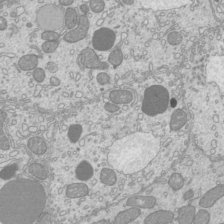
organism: Mouse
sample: Cilia; mouse epididymis